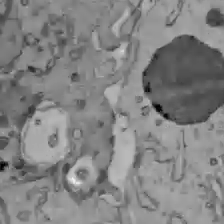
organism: C57BL Mouse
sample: Liver